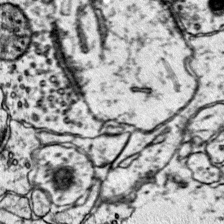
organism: Mouse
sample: Primary visual cortex